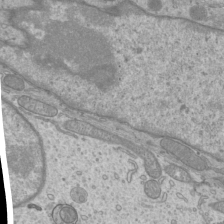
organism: Mouse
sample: Cilia; mouse epididymis